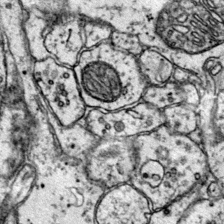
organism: Mouse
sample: Primary visual cortex